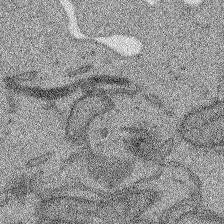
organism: Human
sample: HeLa cells